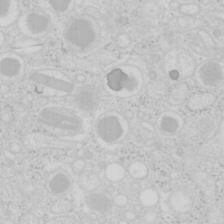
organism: Mouse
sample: Pancreas